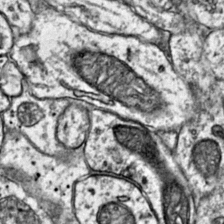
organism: Mouse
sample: Primary visual cortex